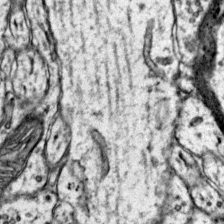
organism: Mouse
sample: Primary visual cortex